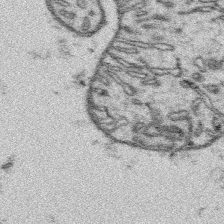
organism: Platynereis dumerilii